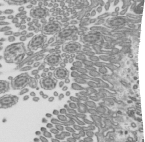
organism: Mouse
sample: Mouse epididymis efferent ductule cilia